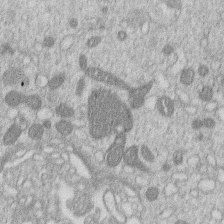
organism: Human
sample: Macrophage cells